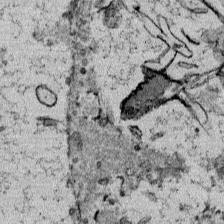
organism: Mouse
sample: Mouse Salivary gland